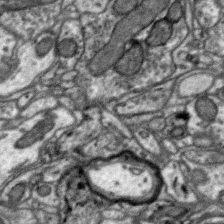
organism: Zebra finch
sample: Brain